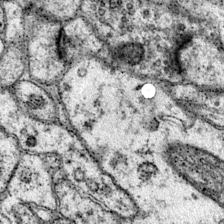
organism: Mouse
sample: Primary visual cortex